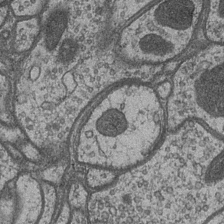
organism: Drosophila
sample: Optic medulla